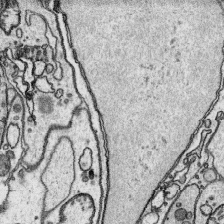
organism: Platynereis dumerilii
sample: Parapodia